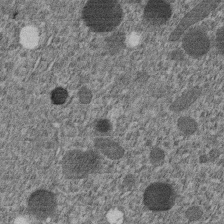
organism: C. elegans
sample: C. elegans embryo early stage